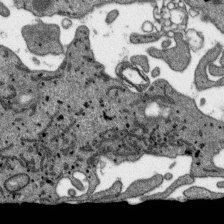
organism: Human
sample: Lung epithelial cells, uninfected (mock) control